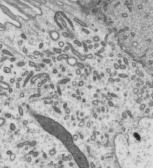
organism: Mouse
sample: Mouse epididymis efferent ductule cilia